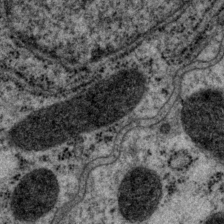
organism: P. pacificus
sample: Pharynx